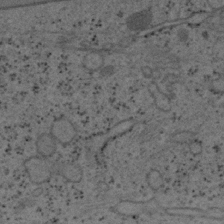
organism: Human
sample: HeLa cells